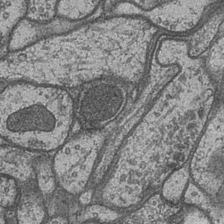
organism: Drosophila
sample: Optic medulla